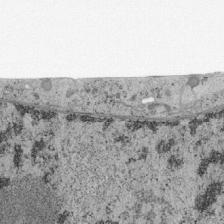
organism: Human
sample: HeLa cells